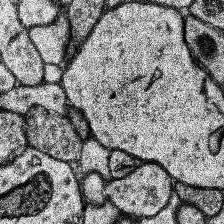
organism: Human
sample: Temporal Lobe